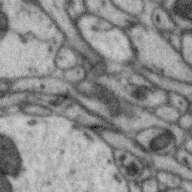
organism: Zebra finch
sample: Brain